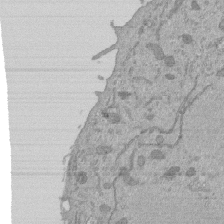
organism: Mouse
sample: ED-1 cell nuclei; centrioles